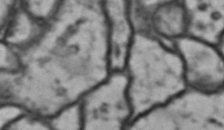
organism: Drosophila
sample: Brain